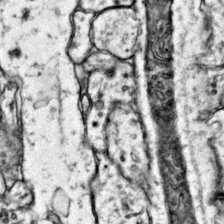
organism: Mouse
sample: Primary visual cortex